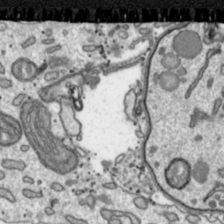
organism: Toxoplasma gondii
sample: Parasites in a vacuole inside a host cell